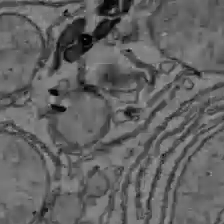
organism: C57BL Mouse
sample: Liver